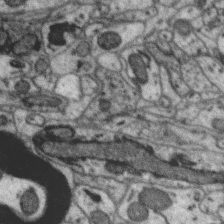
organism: Zebra finch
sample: Brain